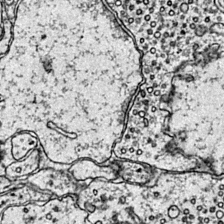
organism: Mouse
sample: Primary visual cortex